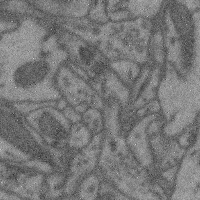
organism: Mouse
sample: Cerebral cortex